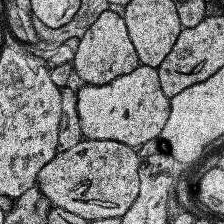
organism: Human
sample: Temporal Lobe